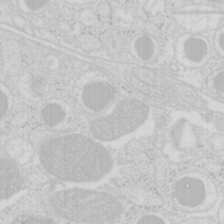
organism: Mouse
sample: Pancreas